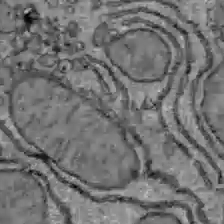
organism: C57BL Mouse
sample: Liver